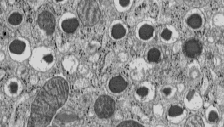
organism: C57BL Mouse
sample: Pancreatic islet